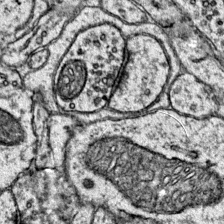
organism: Mouse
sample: Primary visual cortex